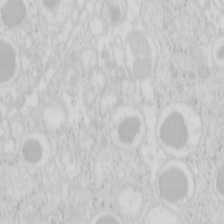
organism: Mouse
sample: Pancreas